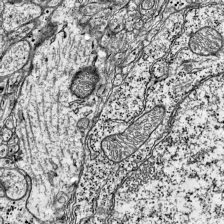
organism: Mouse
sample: Visual Cortex